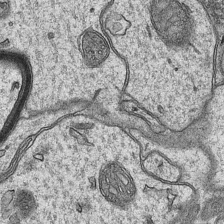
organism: Mouse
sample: CA1 Hippocampus